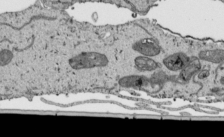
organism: Human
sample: Mitochondria in HCT116 cells